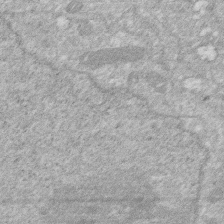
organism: Human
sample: HIV infected U937 cells